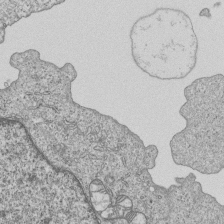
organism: Human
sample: MDA-MB-231 cells